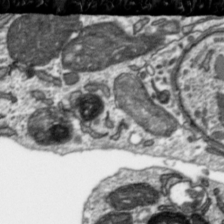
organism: Toxoplasma gondii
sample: Parasites in a vacuole inside a host cell